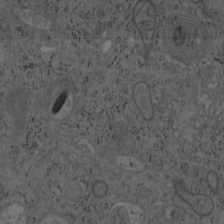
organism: Mouse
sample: OT-I killer T cells with ID8 ovarian cancer cells